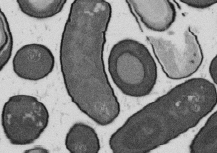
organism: B. subtilis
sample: Bacterial spore